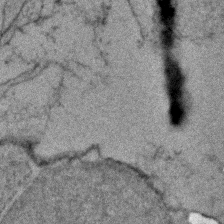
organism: Zebrafish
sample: Zebrafish embryo